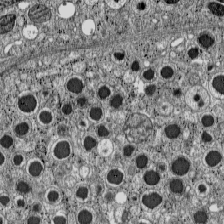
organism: C57BL Mouse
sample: Pancreatic islet